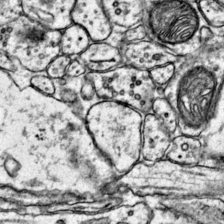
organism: Mouse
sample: Primary visual cortex